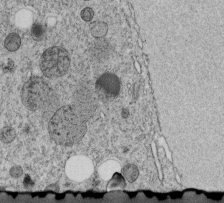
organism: C. elegans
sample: C. elegans embryo early stage